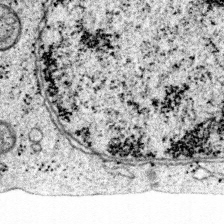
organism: Human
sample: HeLa cells